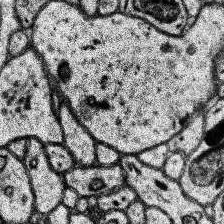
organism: Human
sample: Temporal Lobe